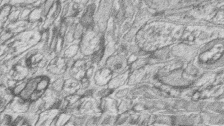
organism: Zebrafish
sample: synaptic ribbons in rod cells and cone cells